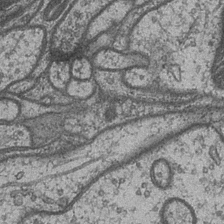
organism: Drosophila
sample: Optic medulla